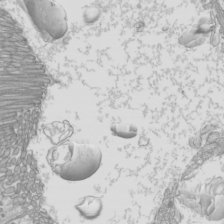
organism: Mouse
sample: Cilia; mouse epididymis